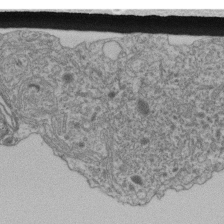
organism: Human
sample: Retinal organoid Rod and Cone cells